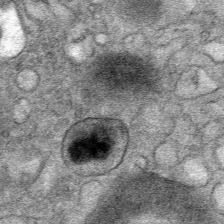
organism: Mouse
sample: Mouse Salivary gland